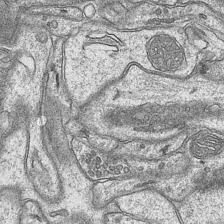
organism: Mouse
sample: CA1 Hippocampus